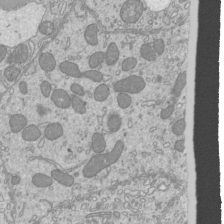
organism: Mouse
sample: Cilia; mouse epididymis